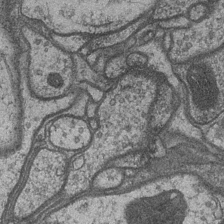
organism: Drosophila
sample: Optic medulla